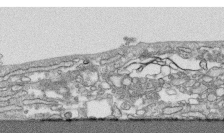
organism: Human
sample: CRL-1474